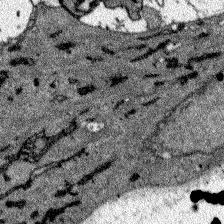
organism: Zebrafish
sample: Larval olfactory bulb